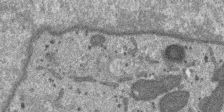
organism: Human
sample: Lung epithelial cells infected with SARS-CoV-2